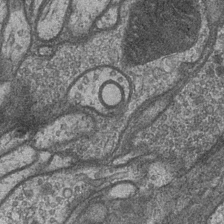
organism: Drosophila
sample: Optic medulla